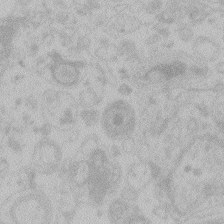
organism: Zebrafish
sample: Macrophage infected with Toxoplasma gondii